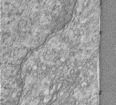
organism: Human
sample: Centriole in RPE cells